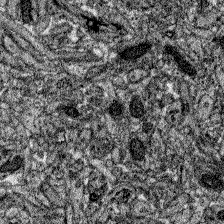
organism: Zebrafish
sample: Larval olfactory bulb